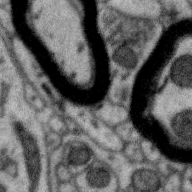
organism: Zebra finch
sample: Brain